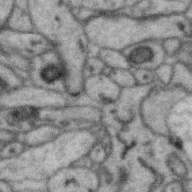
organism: Zebra finch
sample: Brain